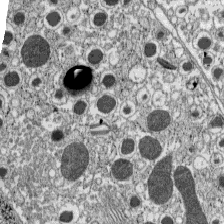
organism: C57BL Mouse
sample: Pancreatic islet